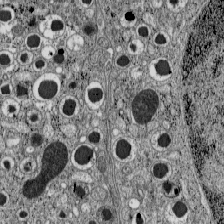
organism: C57BL Mouse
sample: Pancreatic islet